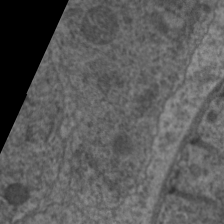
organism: C. elegans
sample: Pharynx